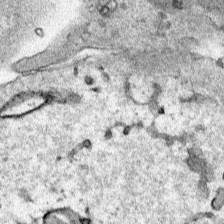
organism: Human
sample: Mitochondria in HCT116 cells